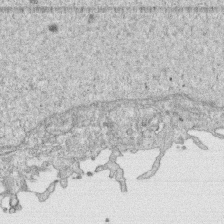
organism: Human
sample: HeLa cell HIV synapse